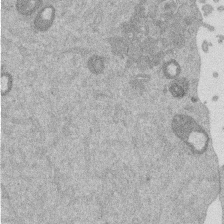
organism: Mouse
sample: Dividing mouse embryo 1 cell stage